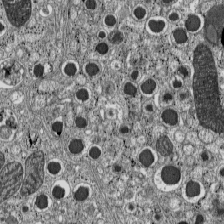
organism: C57BL Mouse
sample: Pancreatic islet